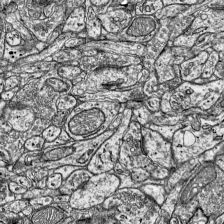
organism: Mouse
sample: Visual Cortex